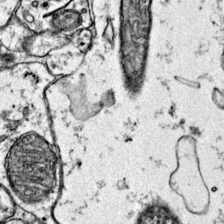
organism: Mouse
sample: Primary visual cortex